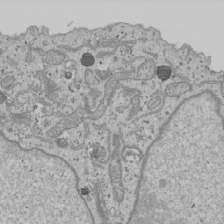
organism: Human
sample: Mitochondria in U2OS cells